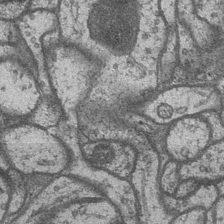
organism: Drosophila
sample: Optic medulla